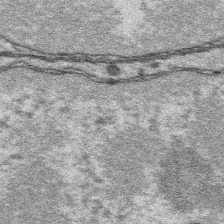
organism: Platynereis dumerilii